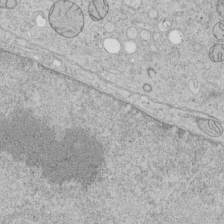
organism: Human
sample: Mitochondria in HCT116 cells